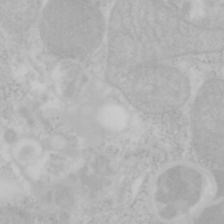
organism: Mouse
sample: OT-I killer T cells with ID8 ovarian cancer cells